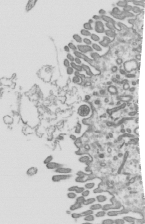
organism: Mouse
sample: Mouse epididymis efferent ductule cilia